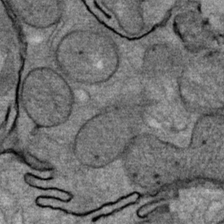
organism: Mouse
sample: Mouse Salivary gland